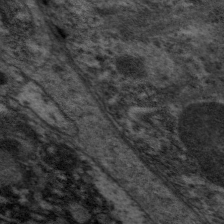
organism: C. elegans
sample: Pharynx